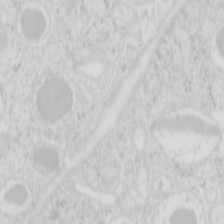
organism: Mouse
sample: Pancreas